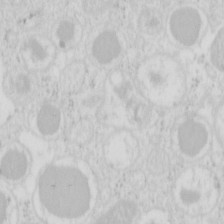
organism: Mouse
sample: Pancreas